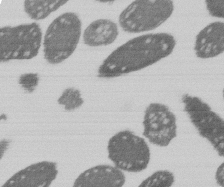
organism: E. coli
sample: Bacterial nucleoid